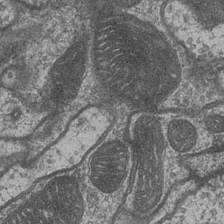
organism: Drosophila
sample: Optic medulla